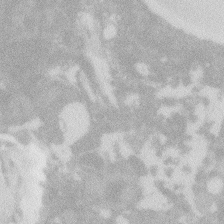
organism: Zebrafish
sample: Macrophage